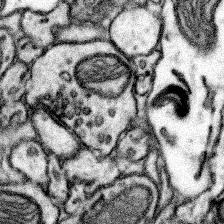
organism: Mouse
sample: Somatosensory cortex neuropil